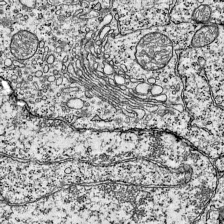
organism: Mouse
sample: Visual Cortex